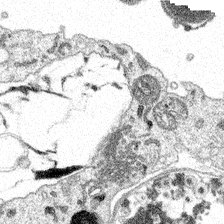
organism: Spongilla lacustris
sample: Multiple